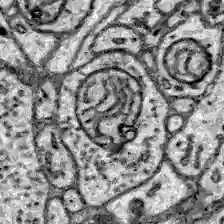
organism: Zebrafish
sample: Brain